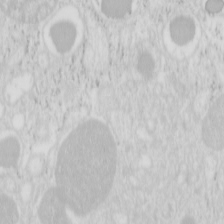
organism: Mouse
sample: Pancreas